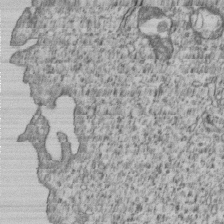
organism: Human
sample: MDA-MB-231 cells